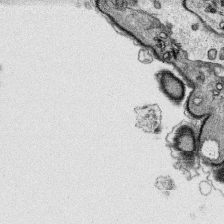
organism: Platynereis dumerilii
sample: Parapodia